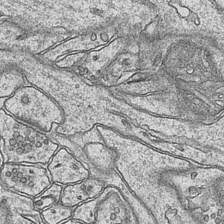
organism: Mouse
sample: CA1 Hippocampus